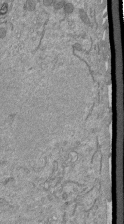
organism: Mouse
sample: ED-1 cell nuclei; centrioles